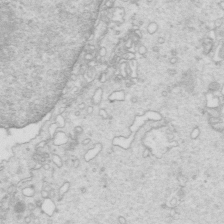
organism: Mouse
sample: Multiciliated cells